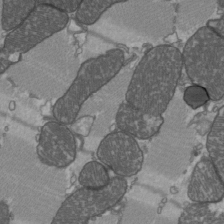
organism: C57BL Mouse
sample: Heart